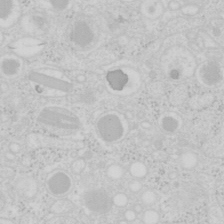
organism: Mouse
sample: Pancreas